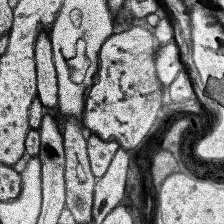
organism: Human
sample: Temporal Lobe